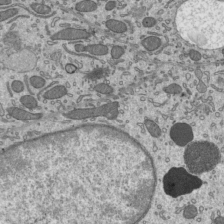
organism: Mouse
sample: Mouse epididymis efferent ductule cilia